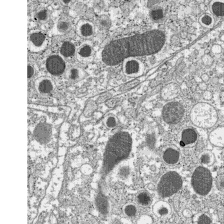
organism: C57BL Mouse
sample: Pancreatic islet